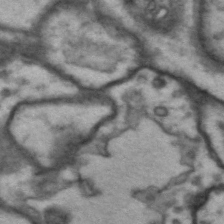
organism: Drosophila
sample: Brain